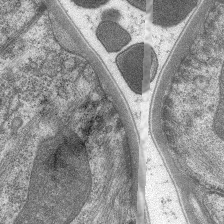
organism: C. elegans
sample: Pharynx